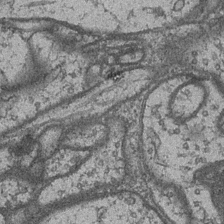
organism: Drosophila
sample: Optic medulla